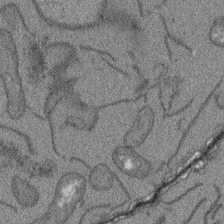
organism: Arabidopsis thaliana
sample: Root tip